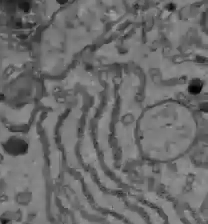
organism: C57BL Mouse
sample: Liver